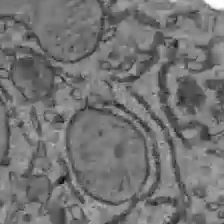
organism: C57BL Mouse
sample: Liver